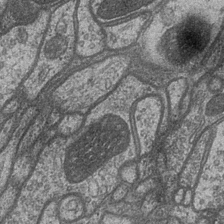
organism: Drosophila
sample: Optic medulla